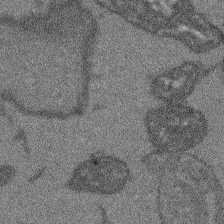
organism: Arabidopsis thaliana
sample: Root tip